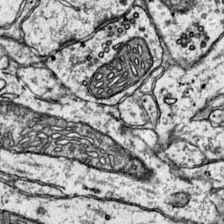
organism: Mouse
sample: Primary visual cortex